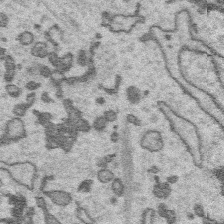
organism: Platynereis dumerilii